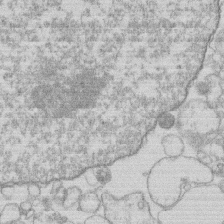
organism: Human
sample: Macrophage cells